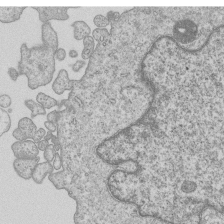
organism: Human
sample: MDA-MB-231 cells